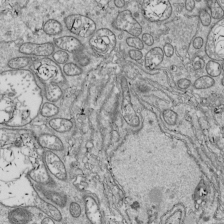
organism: Drosophila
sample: Cell division; meiosis; drosophila spermatocytes